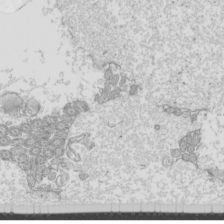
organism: Mouse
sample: Cilia; mouse epididymis